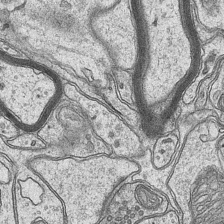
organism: Mouse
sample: CA1 Hippocampus